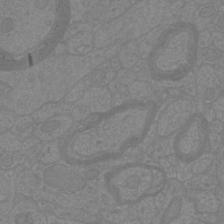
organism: Mouse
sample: Cortical neurons